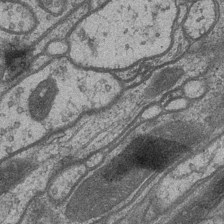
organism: Drosophila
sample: Optic medulla